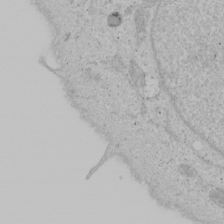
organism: Human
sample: Mitochondria in U2OS cells